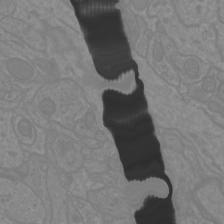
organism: Mouse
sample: Cortical neurons